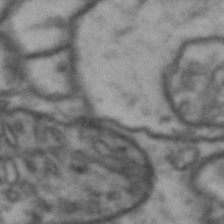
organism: Drosophila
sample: Brain